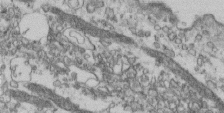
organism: Human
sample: Centriole in fibroblast cells